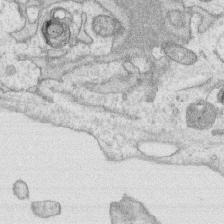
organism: Human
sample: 1205lu cells